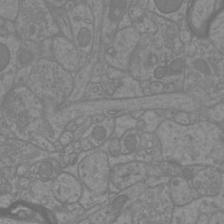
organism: Mouse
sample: Cortical neurons